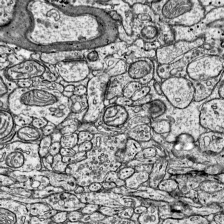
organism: Mouse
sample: Visual Cortex